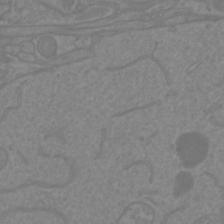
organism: Mouse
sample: Cortical neurons